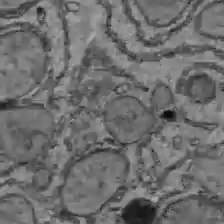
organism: C57BL Mouse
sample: Liver